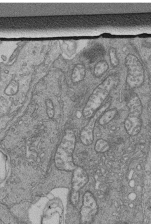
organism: Human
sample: Retinal organoid Rod and Cone cells